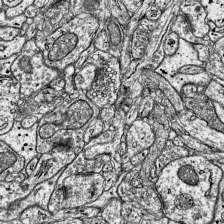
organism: Mouse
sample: Visual Cortex